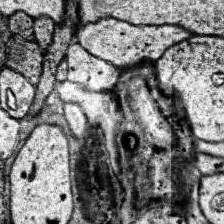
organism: Human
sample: Temporal Lobe